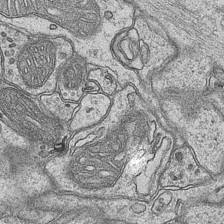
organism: Mouse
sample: CA1 Hippocampus